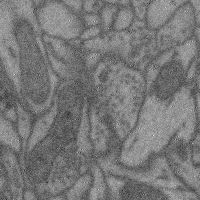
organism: Mouse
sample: Cerebral cortex